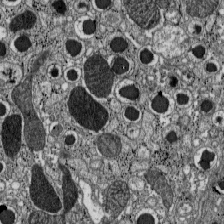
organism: C57BL Mouse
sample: Pancreatic islet